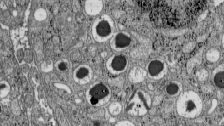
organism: C57BL Mouse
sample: Pancreatic islet